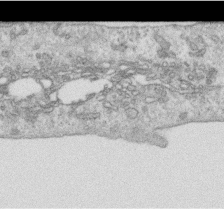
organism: Human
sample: Centriole in RPE cells